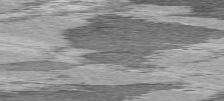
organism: C57BL Mouse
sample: Heart